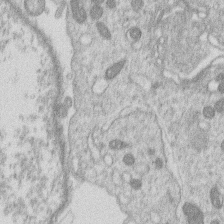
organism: Human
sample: Macrophage cells